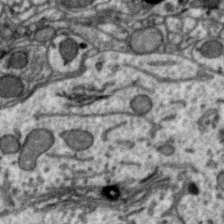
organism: Zebra finch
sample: Brain